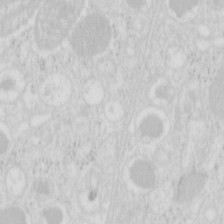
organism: Mouse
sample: Pancreas